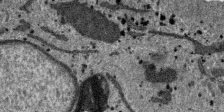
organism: Human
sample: Lung epithelial cells, uninfected (mock) control